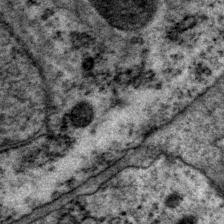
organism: P. pacificus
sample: Pharynx